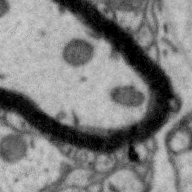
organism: Zebra finch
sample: Brain